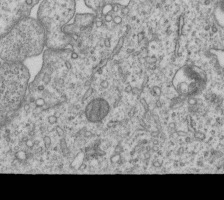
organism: Human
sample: MDA-MB-231 cells